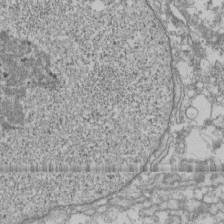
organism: Human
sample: Fibroblast cells